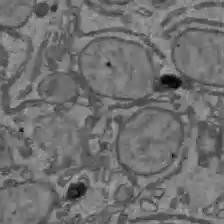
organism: C57BL Mouse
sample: Liver